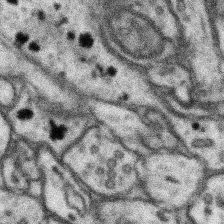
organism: Mouse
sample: Somatosensory cortex neuropil